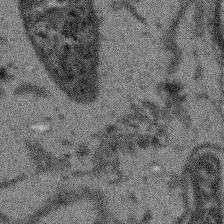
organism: Arabidopsis thaliana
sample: Root tip